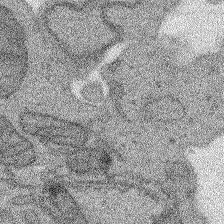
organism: Human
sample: HeLa cells